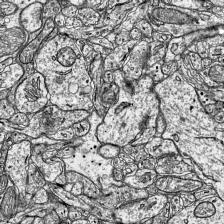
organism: Mouse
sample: Visual Cortex